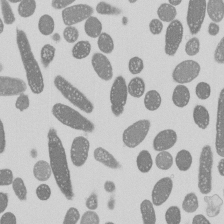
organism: E. coli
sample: Bacterial nucleoid